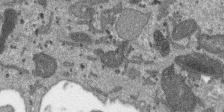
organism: Human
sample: Lung epithelial cells infected with SARS-CoV-2